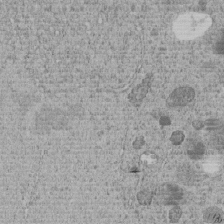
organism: C. elegans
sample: C. elegans embryo early stage